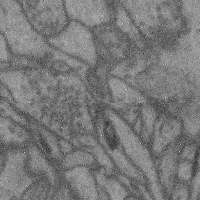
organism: Mouse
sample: Cerebral cortex